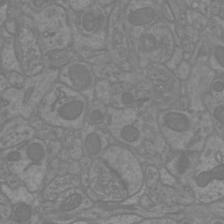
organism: Mouse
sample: Cortical neurons